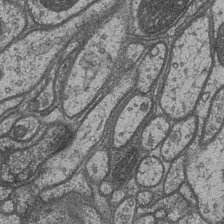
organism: Drosophila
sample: Optic medulla